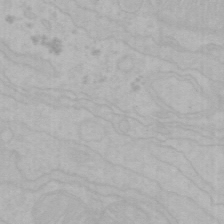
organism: Mouse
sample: Choroid plexus